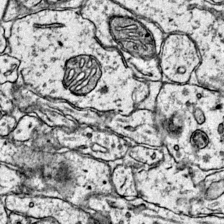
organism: Mouse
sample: Primary visual cortex